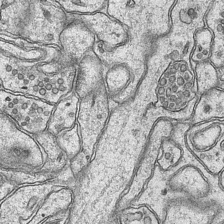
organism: Mouse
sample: CA1 Hippocampus